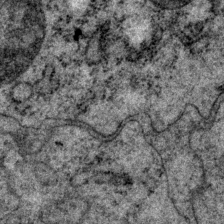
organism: P. pacificus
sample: Pharynx